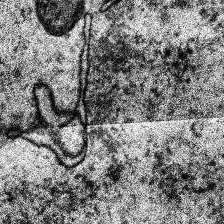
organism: Human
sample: Temporal Lobe